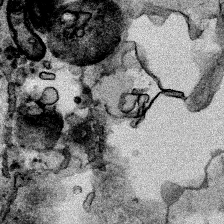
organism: Human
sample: Mitochondria in HCT116 cells